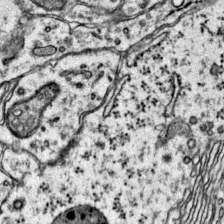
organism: Mouse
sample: Primary visual cortex